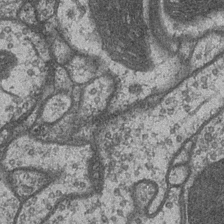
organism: Drosophila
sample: Optic medulla